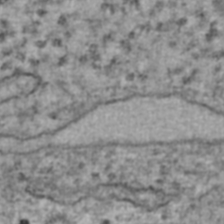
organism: Human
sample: Blood